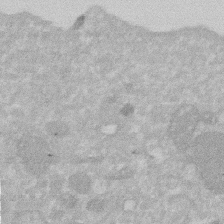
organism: Human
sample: HIV infected U937 cells